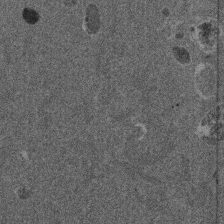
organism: Mouse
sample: Dividing mouse embryo 1 cell stage